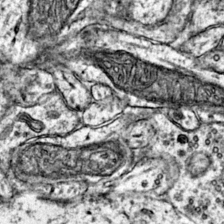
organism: Mouse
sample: Primary visual cortex